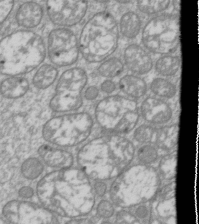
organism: Drosophila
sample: Cell division; meiosis; drosophila spermatocytes